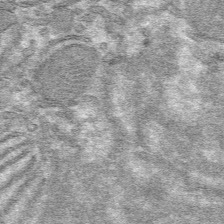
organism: Mouse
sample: Mouse hepatocytes